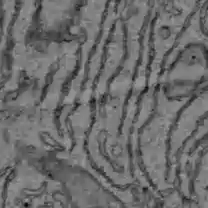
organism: C57BL Mouse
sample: Liver